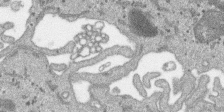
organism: Human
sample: Lung epithelial cells infected with SARS-CoV-2